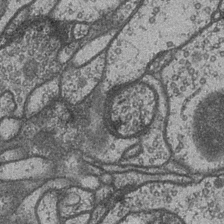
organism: Drosophila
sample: Optic medulla